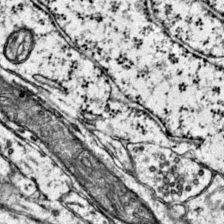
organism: Mouse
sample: Primary visual cortex